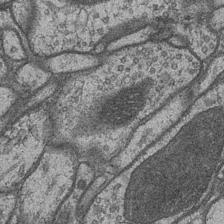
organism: Drosophila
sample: Optic medulla